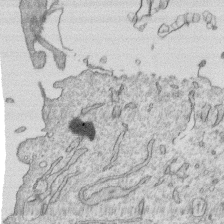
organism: Human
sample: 1205lu cells